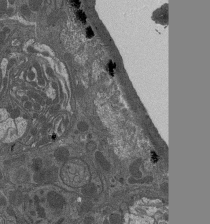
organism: Drosophila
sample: Antenna